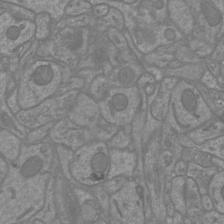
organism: Mouse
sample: Cortical neurons